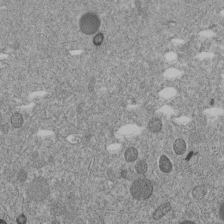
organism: C. elegans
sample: C. elegans embryo early stage